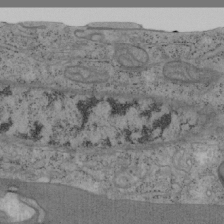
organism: Human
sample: HeLa cells